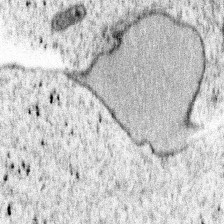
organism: Human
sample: HeLa cells